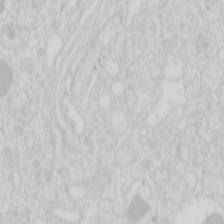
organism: Mouse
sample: Pancreas